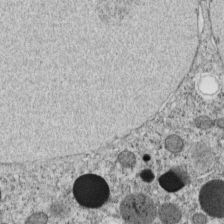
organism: C. elegans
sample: C. elegans embryo early stage